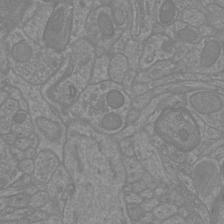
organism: Mouse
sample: Cortical neurons